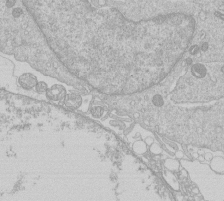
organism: Human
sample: Macrophage cells